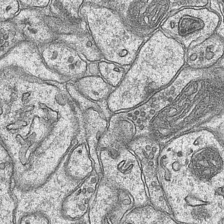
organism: Mouse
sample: CA1 Hippocampus